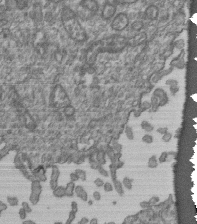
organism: Human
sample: Retinal organoid Rod and Cone cells